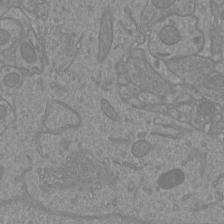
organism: Mouse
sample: Cortical neurons